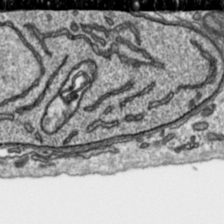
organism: Toxoplasma gondii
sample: Parasites in a vacuole inside a host cell